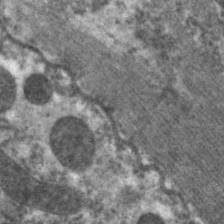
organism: C. elegans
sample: Pharynx